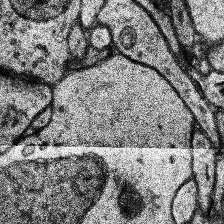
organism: Human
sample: Temporal Lobe